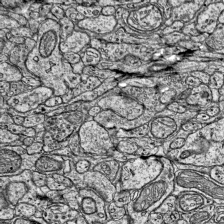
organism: Mouse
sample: Visual Cortex